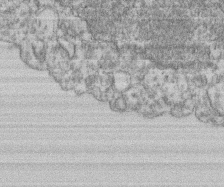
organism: Mouse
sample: T cell stromal cell synapse